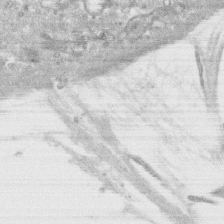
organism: Human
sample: CRL-1474